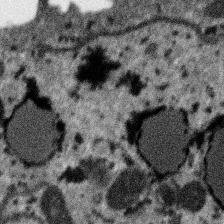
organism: Human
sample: Lung epithelial cells infected with SARS-CoV-2